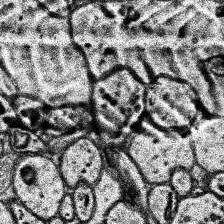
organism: Human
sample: Temporal Lobe